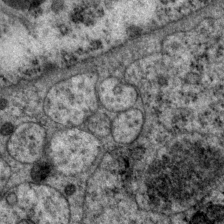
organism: P. pacificus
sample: Pharynx